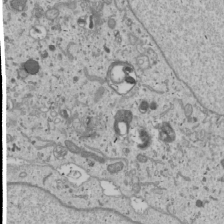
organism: Human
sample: Mitochondria in U2OS cells